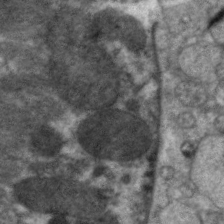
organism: C. elegans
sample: Pharynx